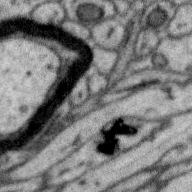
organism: Zebra finch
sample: Brain